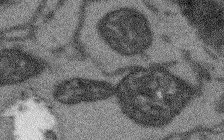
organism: Arabidopsis thaliana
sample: Root tip